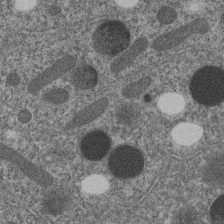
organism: C. elegans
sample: C. elegans embryo early stage